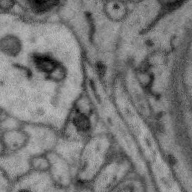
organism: Zebra finch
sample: Brain